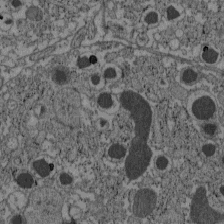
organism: C57BL Mouse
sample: Pancreatic islet